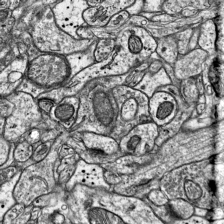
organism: Mouse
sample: Visual Cortex